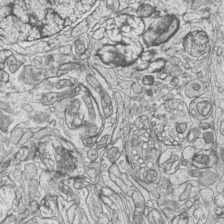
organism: Zebrafish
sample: synaptic ribbons in rod cells and cone cells